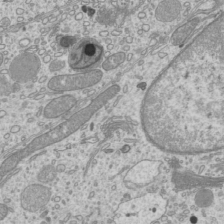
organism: Mouse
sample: Cilia; mouse epididymis